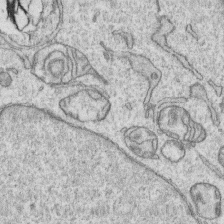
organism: Human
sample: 1205lu cells